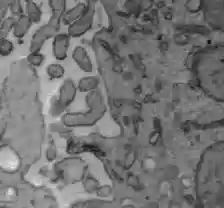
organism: C57BL Mouse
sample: Liver